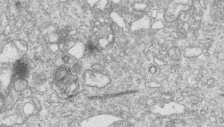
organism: Human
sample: HeLa cell HIV synapse